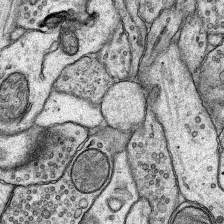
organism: Rat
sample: Hippocampus